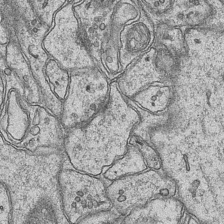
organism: Mouse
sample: CA1 Hippocampus